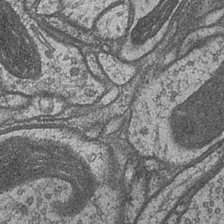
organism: Drosophila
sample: Optic medulla